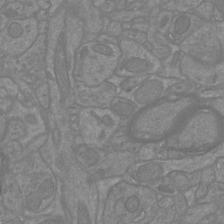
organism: Mouse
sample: Cortical neurons